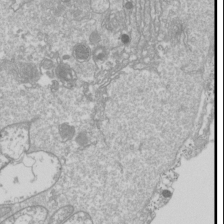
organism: Drosophila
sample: Cell division; meiosis; drosophila spermatocytes